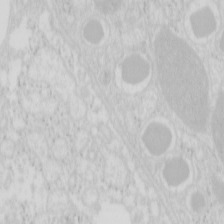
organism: Mouse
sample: Pancreas